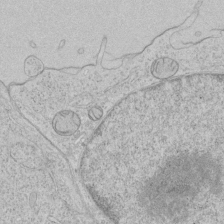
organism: Human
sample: Mitochondria in HCT116 cells